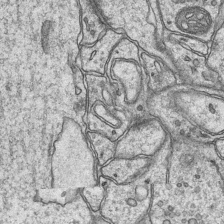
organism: Mouse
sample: CA1 Hippocampus